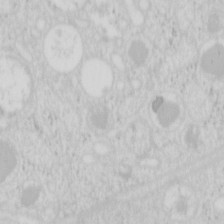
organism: Mouse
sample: Pancreas